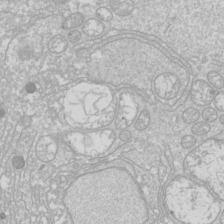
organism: Drosophila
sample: Cell division; meiosis; drosophila spermatocytes